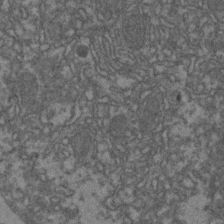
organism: Zebrafish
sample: Zebrafish embryo